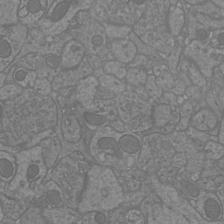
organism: Mouse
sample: Cortical neurons